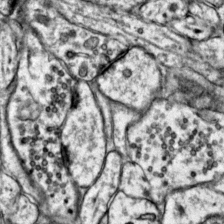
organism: Mouse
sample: Primary visual cortex